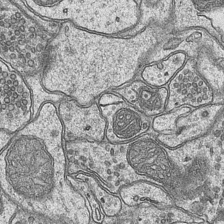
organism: Mouse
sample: CA1 Hippocampus